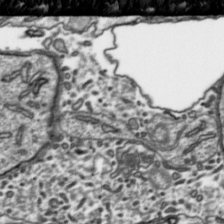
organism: Toxoplasma gondii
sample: Parasites in a vacuole inside a host cell